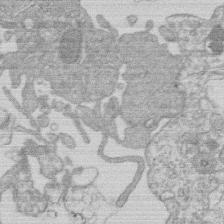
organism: Human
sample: Macrophage cells